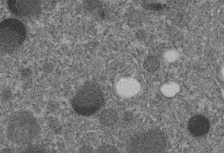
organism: C. elegans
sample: C. elegans embryo early stage